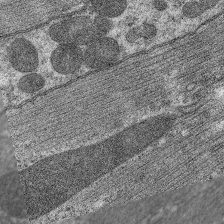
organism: C. elegans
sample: Pharynx